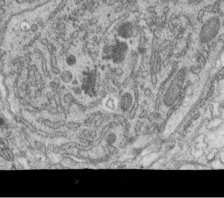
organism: C. elegans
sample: C. elegans oocyte; sperm cells